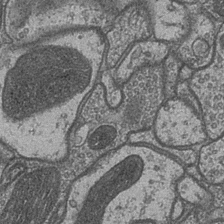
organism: Drosophila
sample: Optic medulla